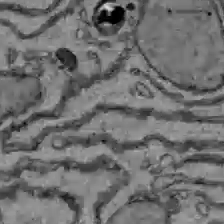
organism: C57BL Mouse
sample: Liver